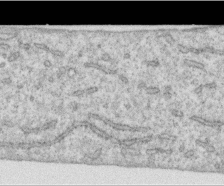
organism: Human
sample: Centriole in RPE cells